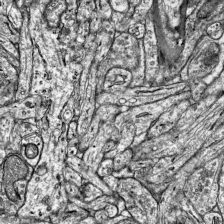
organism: Mouse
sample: Visual Cortex